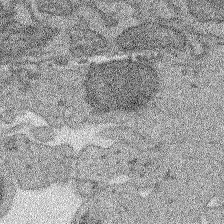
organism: Human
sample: HeLa cells